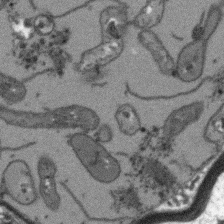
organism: Arabidopsis thaliana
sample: Root tip